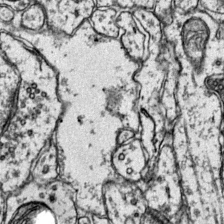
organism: Mouse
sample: Primary visual cortex